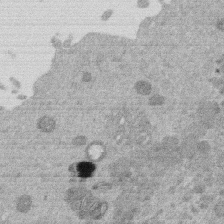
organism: Mouse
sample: Dividing mouse embryo 1 cell stage